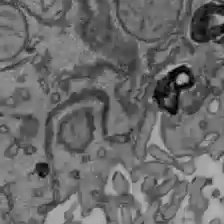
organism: C57BL Mouse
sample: Liver